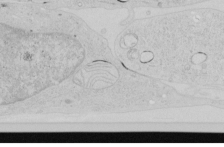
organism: Human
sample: Mitochondria in HCT116 cells